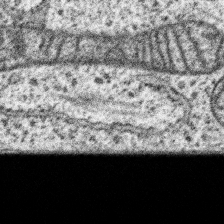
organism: Human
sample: HeLa cells